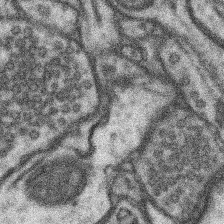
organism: Mouse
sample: Somatosensory cortex neuropil